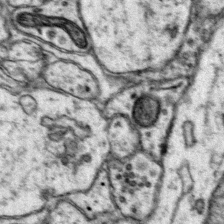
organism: Mouse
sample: Primary visual cortex